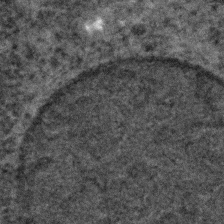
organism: C. elegans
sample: C. elegans embryo